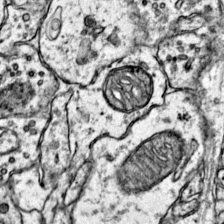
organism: Mouse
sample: Primary visual cortex